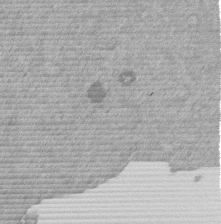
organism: Mouse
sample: Dividing mouse embryo 1 cell stage